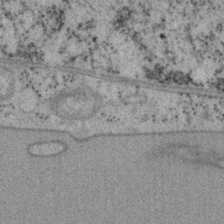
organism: Human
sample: HeLa cells